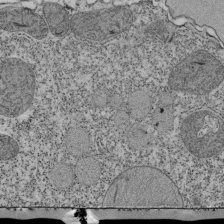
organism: Tetrahymena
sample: Cilia in tetrahymena